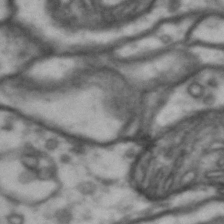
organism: Drosophila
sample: Brain